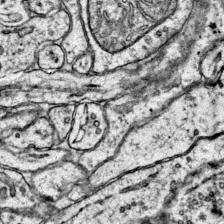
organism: Mouse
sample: Primary visual cortex